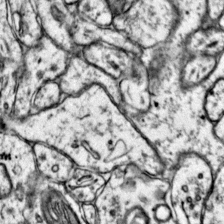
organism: Mouse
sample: Primary visual cortex